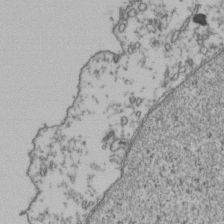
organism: Human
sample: Activated Jurkat CD4+ T cells